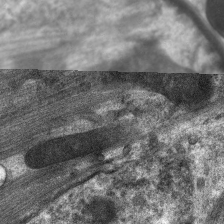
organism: C. elegans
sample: Pharynx